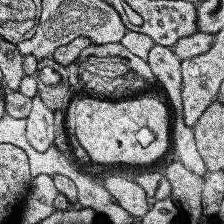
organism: Human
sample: Temporal Lobe